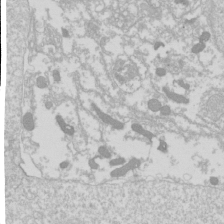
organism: Drosophila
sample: Cell division; meiosis; drosophila spermatocytes